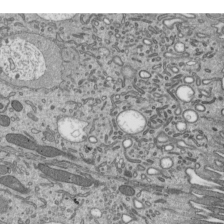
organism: Mouse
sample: Mouse epididymis efferent ductule cilia